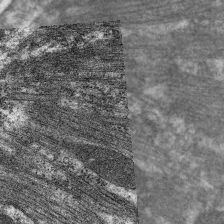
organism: C. elegans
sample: Pharynx